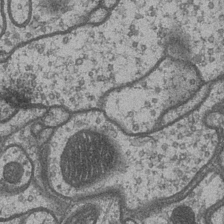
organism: Drosophila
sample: Optic medulla